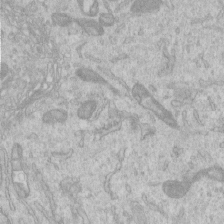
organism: Human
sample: Centriole in RPE cells